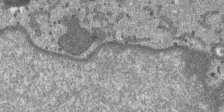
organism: Human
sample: Lung epithelial cells infected with SARS-CoV-2